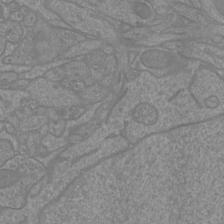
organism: Mouse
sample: Cortical neurons